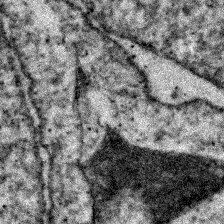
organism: Zebrafish